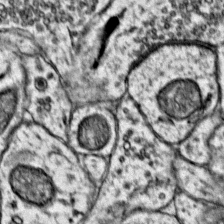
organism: Mouse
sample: Primary visual cortex